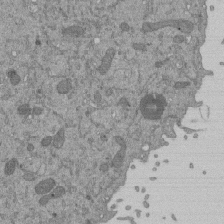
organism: Mouse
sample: ED-1 cell nuclei; centrioles